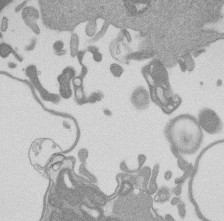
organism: Mouse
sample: Dividing mouse embryo 1 cell stage